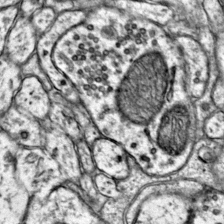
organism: Mouse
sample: Primary visual cortex